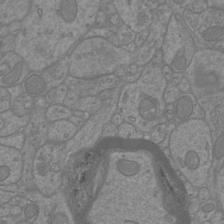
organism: Mouse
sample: Cortical neurons